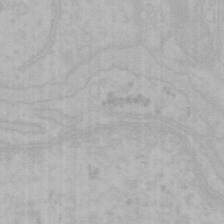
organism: Mouse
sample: Choroid plexus